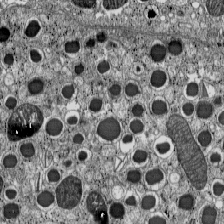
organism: C57BL Mouse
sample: Pancreatic islet